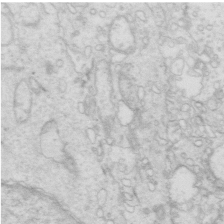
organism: Mouse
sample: Multiciliated cells